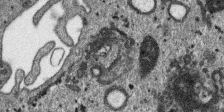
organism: Human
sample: Lung epithelial cells infected with SARS-CoV-2